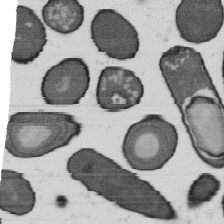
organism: B. subtilis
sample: Bacterial spore